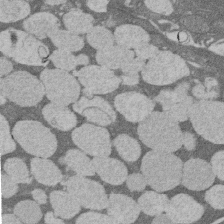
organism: Rat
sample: Salivary granule